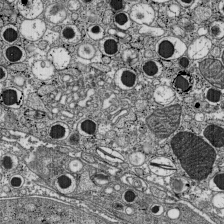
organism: C57BL Mouse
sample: Pancreatic islet